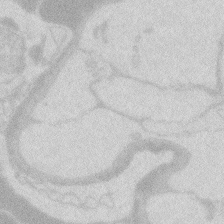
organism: Zebrafish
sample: Macrophage